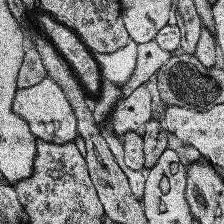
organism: Human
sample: Temporal Lobe